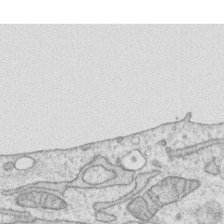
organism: Human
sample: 1205lu cells